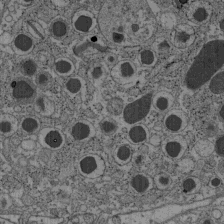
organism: C57BL Mouse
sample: Pancreatic islet